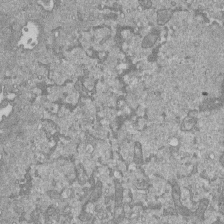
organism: Mouse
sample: ED-1 cell nuclei; centrioles